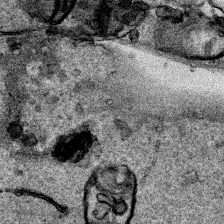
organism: Human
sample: Mitochondria in HCT116 cells